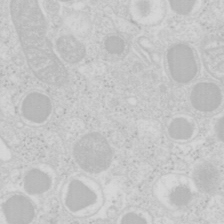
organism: Mouse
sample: Pancreas